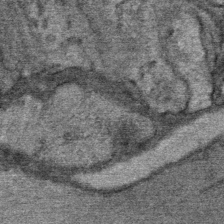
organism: Mouse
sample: Mouse Salivary gland